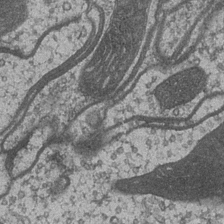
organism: Drosophila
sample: Optic medulla